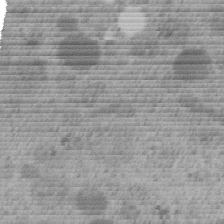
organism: C. elegans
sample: C. elegans embryo early stage